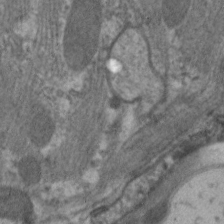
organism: C. elegans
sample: Pharynx